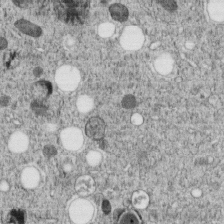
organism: C. elegans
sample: C. elegans embryo early stage